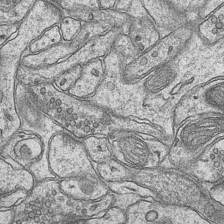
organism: Mouse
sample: CA1 Hippocampus